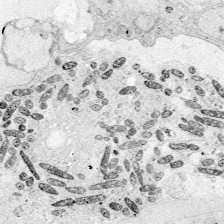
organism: Zebrafish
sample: Whole-Brain